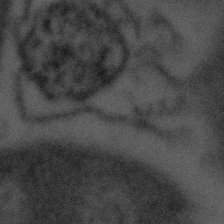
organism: Tuwongella immobilis